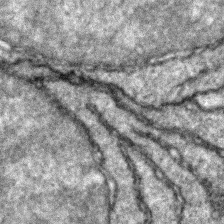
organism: Zebrafish